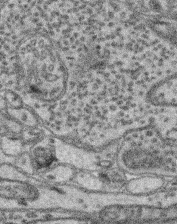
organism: Mouse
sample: Retina